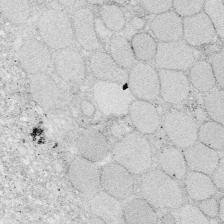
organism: Zebrafish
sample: Whole-Brain